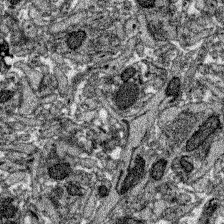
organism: Zebrafish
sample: Larval olfactory bulb